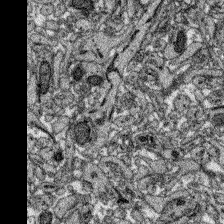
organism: Zebrafish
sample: Larval olfactory bulb